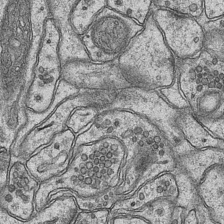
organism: Mouse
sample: CA1 Hippocampus